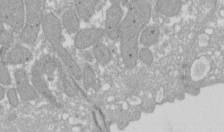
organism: Xenopus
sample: Cilia; centrioles in frog embryo cells